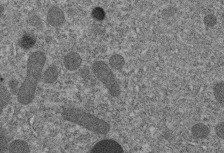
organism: C. elegans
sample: C. elegans embryo early stage